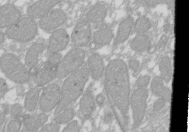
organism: Xenopus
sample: Cilia; centrioles in frog embryo cells